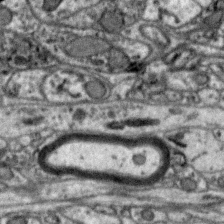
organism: Zebra finch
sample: Brain